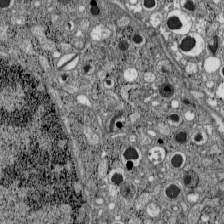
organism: C57BL Mouse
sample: Pancreatic islet